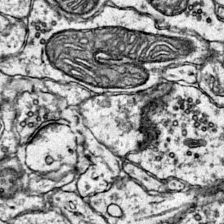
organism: Mouse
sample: Primary visual cortex